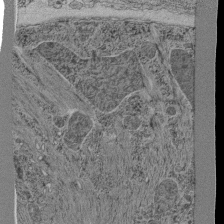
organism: C. elegans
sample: C. elegans pharynx